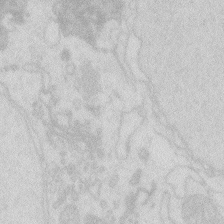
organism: Zebrafish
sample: Macrophage